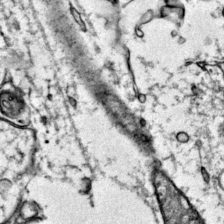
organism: Mouse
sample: Primary visual cortex